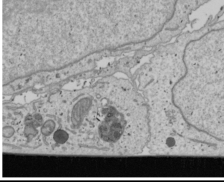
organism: Human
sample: Mitochondria in U2OS cells